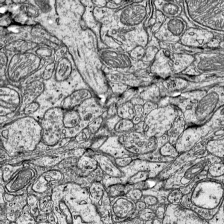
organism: Mouse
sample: Visual Cortex